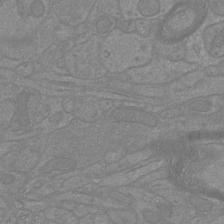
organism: Mouse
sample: Cortical neurons